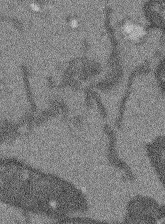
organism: Arabidopsis thaliana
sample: Root tip